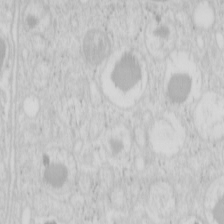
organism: Mouse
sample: Pancreas